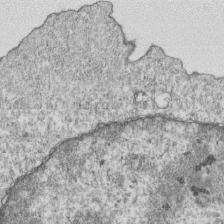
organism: Mouse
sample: Activated OT-1 CD8+ T cells